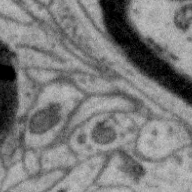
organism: Zebra finch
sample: Brain